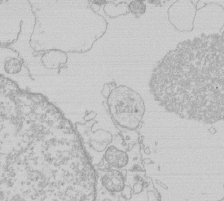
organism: Human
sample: Macrophage cells